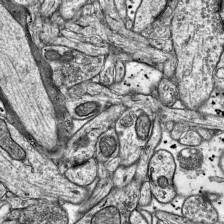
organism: Mouse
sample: Visual Cortex